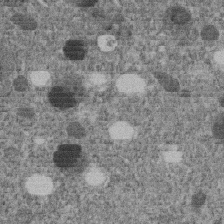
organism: C. elegans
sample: C. elegans embryo early stage